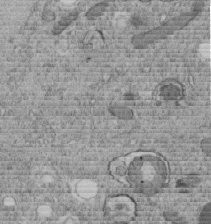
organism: C. elegans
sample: C. elegans embryo early stage